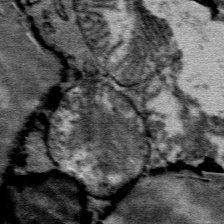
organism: Mouse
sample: Mouse Salivary gland